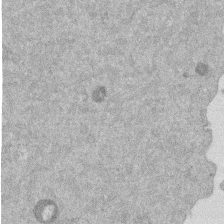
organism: Mouse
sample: Dividing mouse embryo 1 cell stage